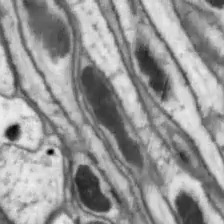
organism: Drosophila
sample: Optic lobe